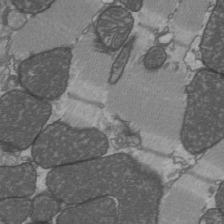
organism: C57BL Mouse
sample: Heart